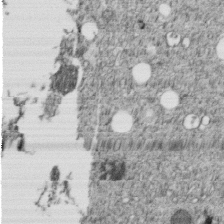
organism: C. elegans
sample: C. elegans embryo early stage